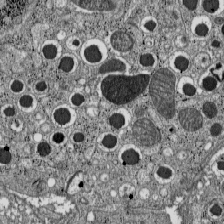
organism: C57BL Mouse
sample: Pancreatic islet